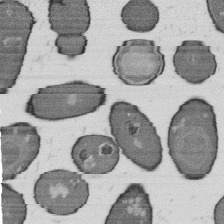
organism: B. subtilis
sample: Bacterial spore